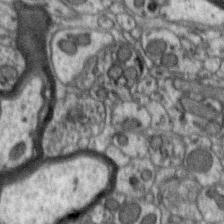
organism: Zebra finch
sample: Brain